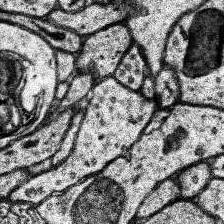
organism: Human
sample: Temporal Lobe